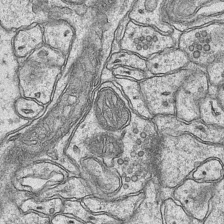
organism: Mouse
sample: CA1 Hippocampus